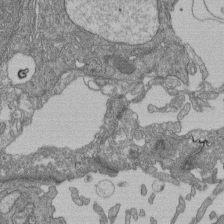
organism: Human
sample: Retinal organoid Rod and Cone cells